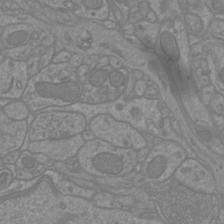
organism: Mouse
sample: Cortical neurons